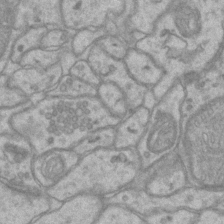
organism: Mouse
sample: CA1 Hippocampus